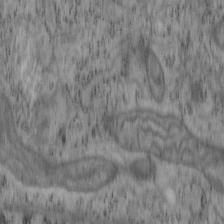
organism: Human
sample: HeLa cells